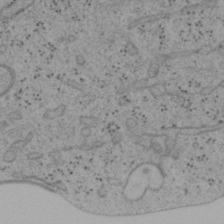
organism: Human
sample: HeLa cells